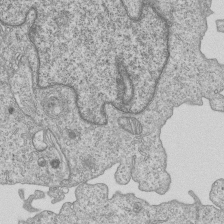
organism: Human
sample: MDA-MB-231 cells